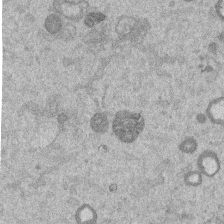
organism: Mouse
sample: Dividing mouse embryo 1 cell stage